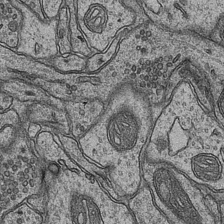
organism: Mouse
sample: CA1 Hippocampus